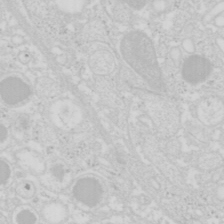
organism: Mouse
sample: Pancreas